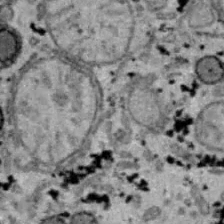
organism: Mouse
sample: Liver from an obese (ob/ob) mouse